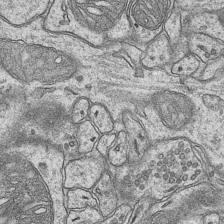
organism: Mouse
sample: CA1 Hippocampus